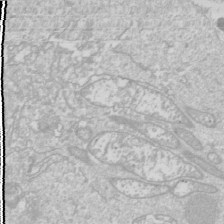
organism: Drosophila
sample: Cell division; meiosis; drosophila spermatocytes